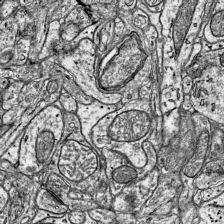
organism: Mouse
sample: Visual Cortex